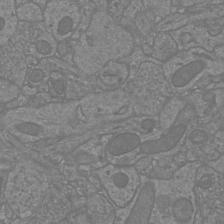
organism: Mouse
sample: Cortical neurons